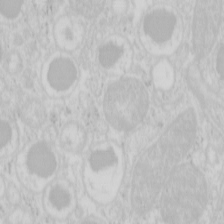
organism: Mouse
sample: Pancreas